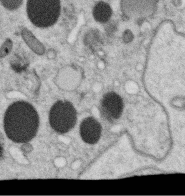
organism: C. elegans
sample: C. elegans oocyte; sperm cells